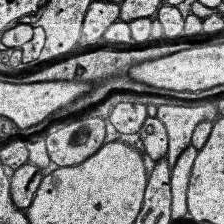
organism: Human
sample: Temporal Lobe